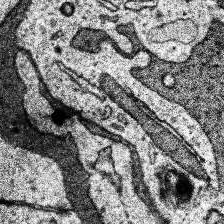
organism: Human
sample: Temporal Lobe